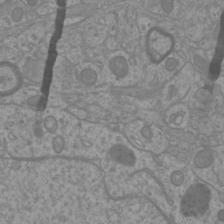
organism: Mouse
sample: Cortical neurons